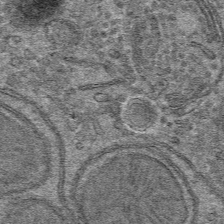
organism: Mouse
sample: Mouse hepatocytes